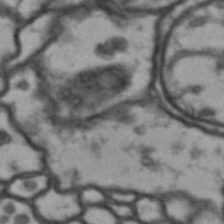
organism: Drosophila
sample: Brain